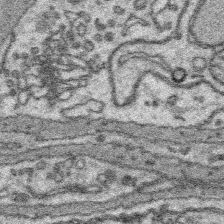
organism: Platynereis dumerilii